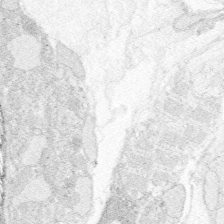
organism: Zebrafish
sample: Whole-Brain